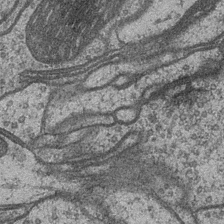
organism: Drosophila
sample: Optic medulla